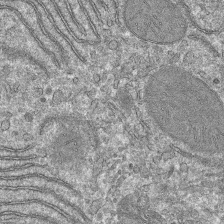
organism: Mouse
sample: Mouse hepatocytes